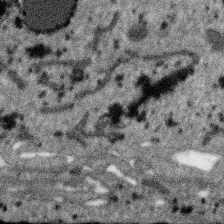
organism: Human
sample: Lung epithelial cells infected with SARS-CoV-2